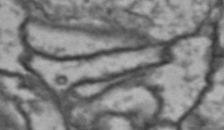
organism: Drosophila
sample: Brain